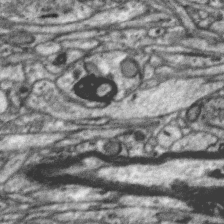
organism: Zebra finch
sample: Brain